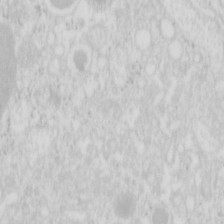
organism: Mouse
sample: Pancreas